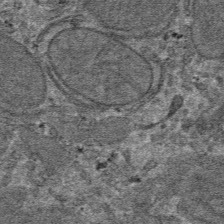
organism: Mouse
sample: Mouse hepatocytes